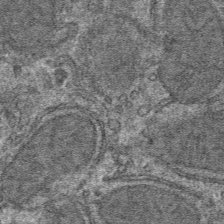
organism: Mouse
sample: Mouse hepatocytes